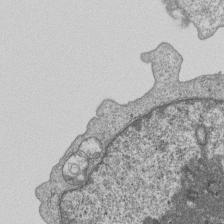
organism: Human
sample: MDA-MB-231 cells